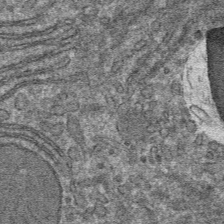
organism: Mouse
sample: Mouse hepatocytes